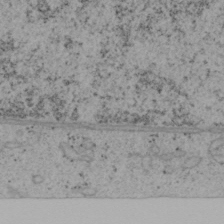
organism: Human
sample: HeLa cells